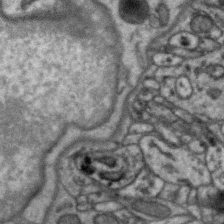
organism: Zebra finch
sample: Brain